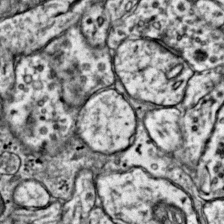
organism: Mouse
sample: Primary visual cortex